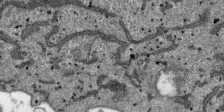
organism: Human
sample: Lung epithelial cells, uninfected (mock) control